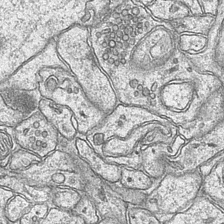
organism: Mouse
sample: CA1 Hippocampus